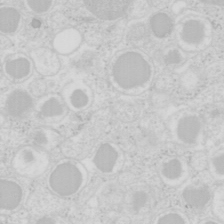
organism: Mouse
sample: Pancreas